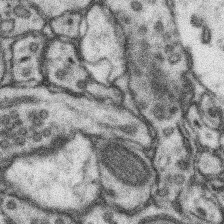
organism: Mouse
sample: Somatosensory cortex neuropil